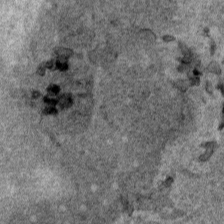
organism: Human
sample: Mitochondria in HCT116 cells